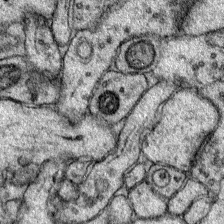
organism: Mouse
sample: Primary visual cortex